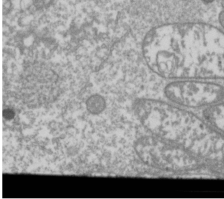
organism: Drosophila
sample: Cell division; meiosis; drosophila spermatocytes